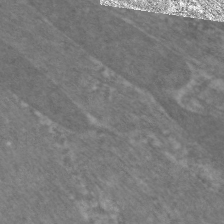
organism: C. elegans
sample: Pharynx